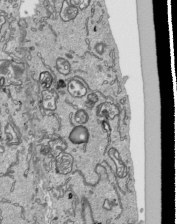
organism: Human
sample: Mitochondria in HCT116 cells